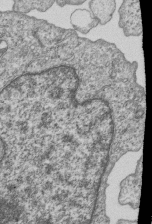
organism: Human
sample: MDA-MB-231 cells